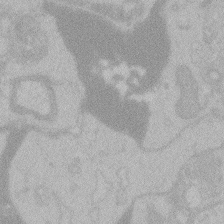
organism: Zebrafish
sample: Macrophage infected with Toxoplasma gondii